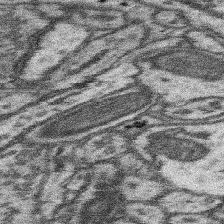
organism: Mouse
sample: Somatosensory cortex neuropil